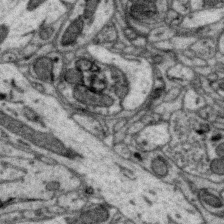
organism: Zebra finch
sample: Brain